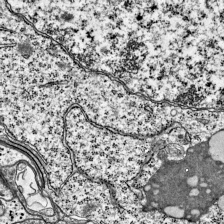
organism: Mouse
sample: Visual Cortex